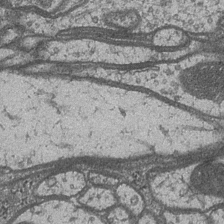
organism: Drosophila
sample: Optic medulla